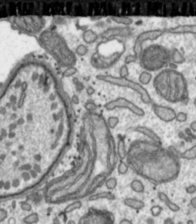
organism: Toxoplasma gondii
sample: Parasites in a vacuole inside a host cell